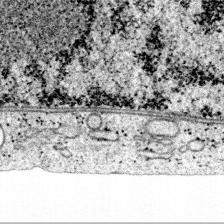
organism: Human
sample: HeLa cells